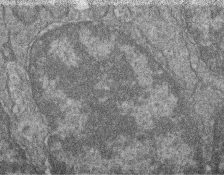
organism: Zebrafish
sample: Cilia; retinal pigment epithelium